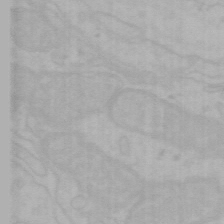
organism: Mouse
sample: Choroid plexus